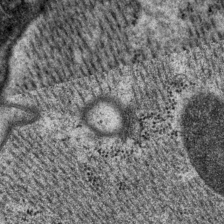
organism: P. pacificus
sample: Pharynx